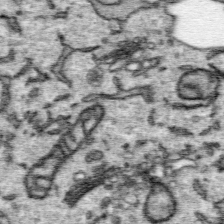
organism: Human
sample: HeLa cells